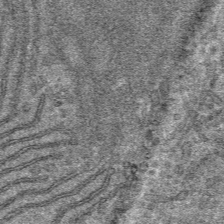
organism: Mouse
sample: Mouse hepatocytes